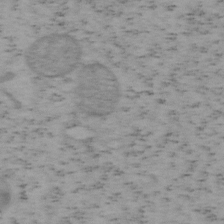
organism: Mouse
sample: OT-I killer T cells with ID8 ovarian cancer cells